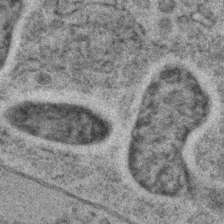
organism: C. elegans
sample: C. elegans embryo